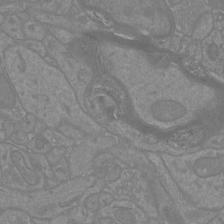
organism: Mouse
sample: Cortical neurons